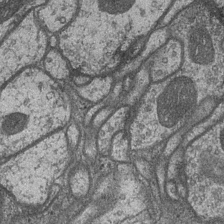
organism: Drosophila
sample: Optic medulla